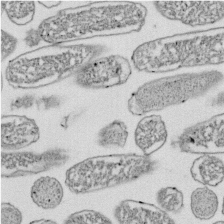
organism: E. coli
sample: Bacterial nucleoid